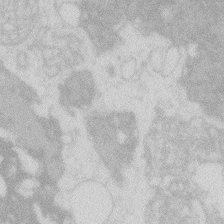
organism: Zebrafish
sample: Macrophage